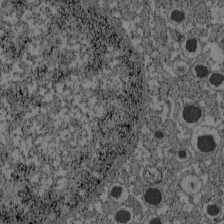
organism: C57BL Mouse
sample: Pancreatic islet